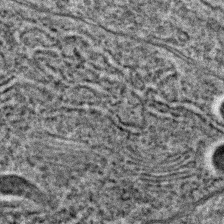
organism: C. elegans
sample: C. elegans embryo